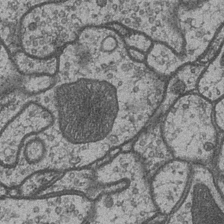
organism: Drosophila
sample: Optic medulla